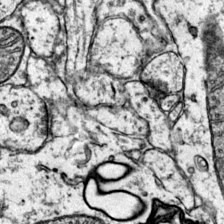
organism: Mouse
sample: Primary visual cortex